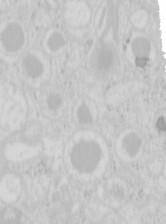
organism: Mouse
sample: Pancreas